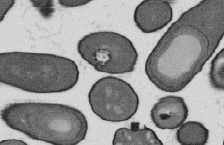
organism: B. subtilis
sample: Bacterial spore